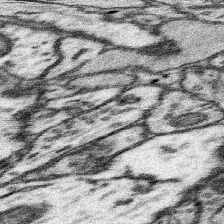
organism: Mouse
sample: Somatosensory cortex neuropil